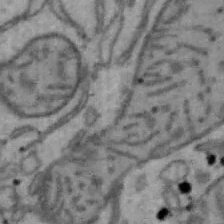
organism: Mouse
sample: Liver